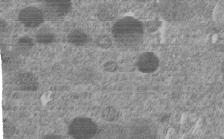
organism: C. elegans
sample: C. elegans embryo early stage